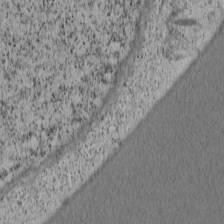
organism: African green monkey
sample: COS-7 cells